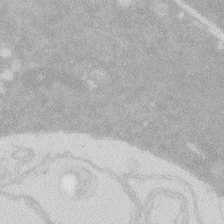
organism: Zebrafish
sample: Macrophage